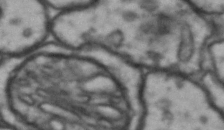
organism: Drosophila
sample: Brain